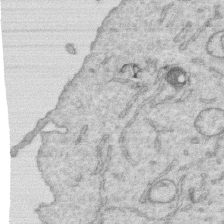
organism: Human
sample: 1205lu cells